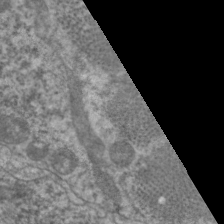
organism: C. elegans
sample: Pharynx